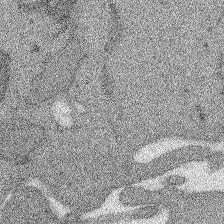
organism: Human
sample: HeLa cells